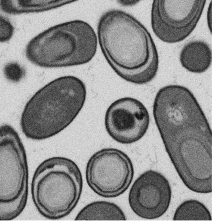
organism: B. subtilis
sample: Bacterial spore